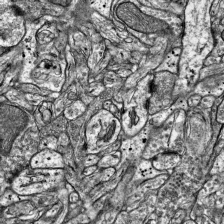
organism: Mouse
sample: Visual Cortex